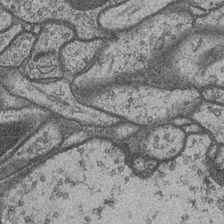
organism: Drosophila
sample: Optic medulla